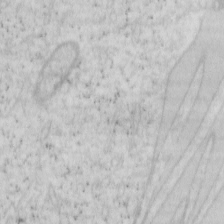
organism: Human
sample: HeLa cells